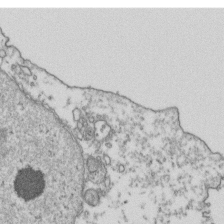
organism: Human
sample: Activated Jurkat CD4+ T cells